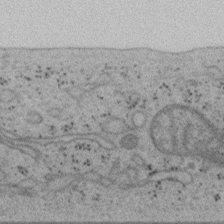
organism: Human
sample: HeLa cells